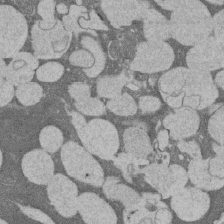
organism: Rat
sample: Salivary granule